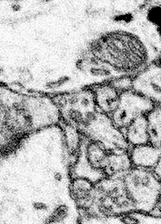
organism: Mouse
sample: Somatosensory cortex neuropil